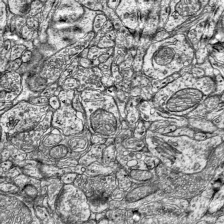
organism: Mouse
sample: Visual Cortex